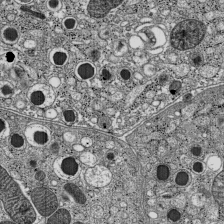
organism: C57BL Mouse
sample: Pancreatic islet